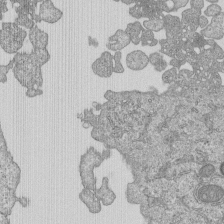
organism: Human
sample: MDA-MB-231 cells